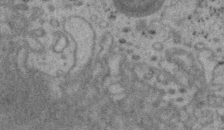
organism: Human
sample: HeLa cells